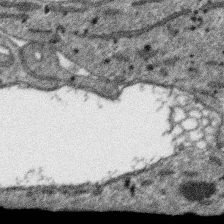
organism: Human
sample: Lung epithelial cells infected with SARS-CoV-2